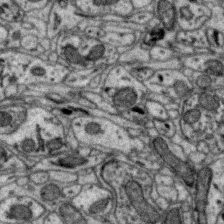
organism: Zebra finch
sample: Brain